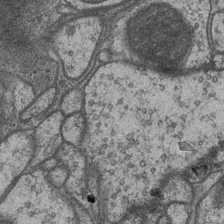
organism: Drosophila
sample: Optic medulla